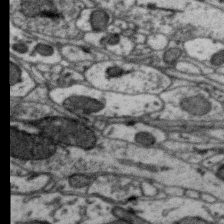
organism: Zebra finch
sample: Brain